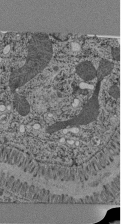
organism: C. elegans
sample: C. elegans pharynx